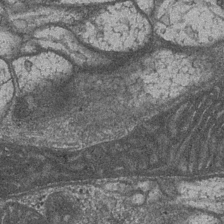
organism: Drosophila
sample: Optic medulla